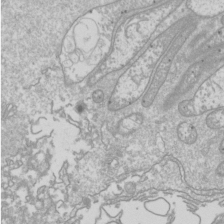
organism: Drosophila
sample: Cell division; meiosis; drosophila spermatocytes